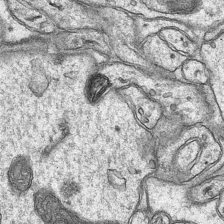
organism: Mouse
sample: CA1 Hippocampus